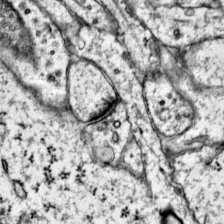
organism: Mouse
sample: Primary visual cortex